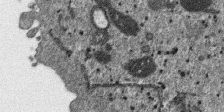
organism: Human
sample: Lung epithelial cells infected with SARS-CoV-2